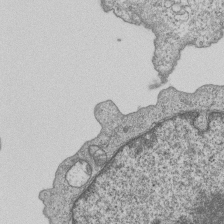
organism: Human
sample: MDA-MB-231 cells